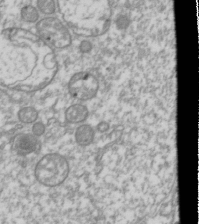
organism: Drosophila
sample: Cell division; meiosis; drosophila spermatocytes